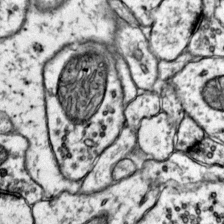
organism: Mouse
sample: Primary visual cortex